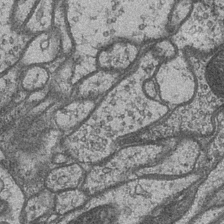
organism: Drosophila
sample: Optic medulla